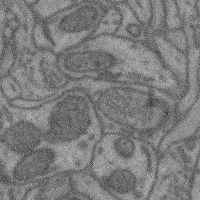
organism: Mouse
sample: Cerebral cortex